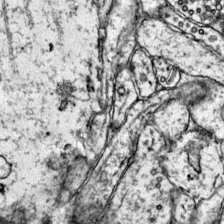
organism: Mouse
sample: Primary visual cortex